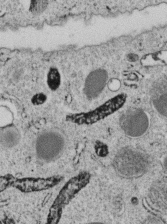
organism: C. elegans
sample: C. elegans embryo early stage